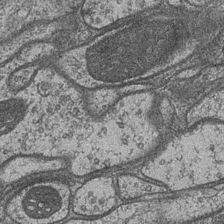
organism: Drosophila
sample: Optic medulla